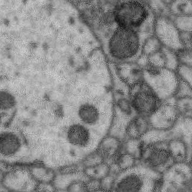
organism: Zebra finch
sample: Brain